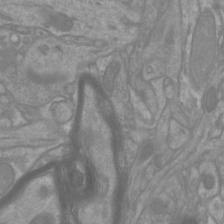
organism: Mouse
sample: Cortical neurons